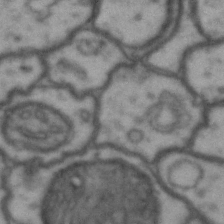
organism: Drosophila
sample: Brain